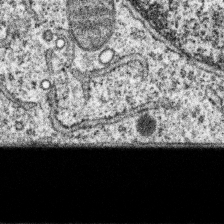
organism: Human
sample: HeLa cells